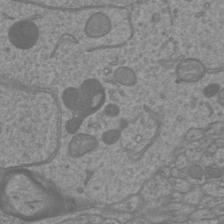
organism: Mouse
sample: Cortical neurons